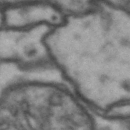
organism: Drosophila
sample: Brain